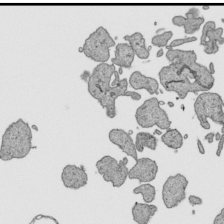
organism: Human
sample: Mitochondria in HCT116 cells